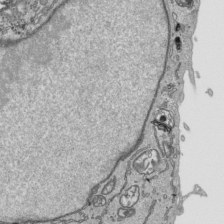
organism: Human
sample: Mitochondria in HCT116 cells